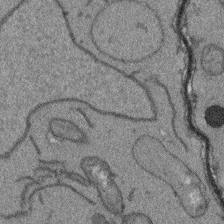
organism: Arabidopsis thaliana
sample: Root tip